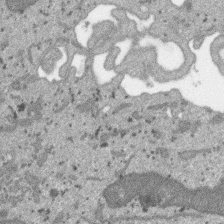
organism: Human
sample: Lung epithelial cells infected with SARS-CoV-2